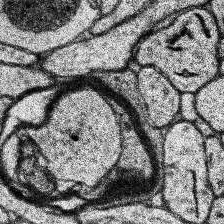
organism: Human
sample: Temporal Lobe